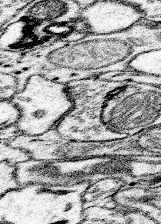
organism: Mouse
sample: Somatosensory cortex neuropil